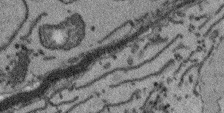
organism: Arabidopsis thaliana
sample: Root tip